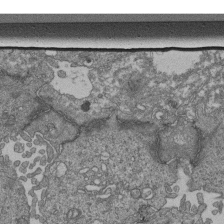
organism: Human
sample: Retinal organoid Rod and Cone cells